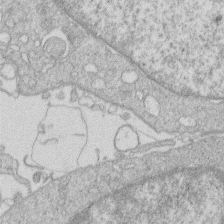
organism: Human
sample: Macrophage cells